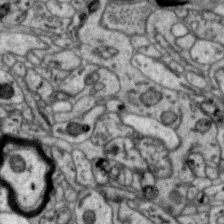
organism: Zebra finch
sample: Brain